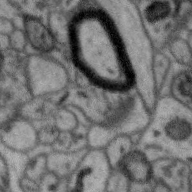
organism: Zebra finch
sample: Brain